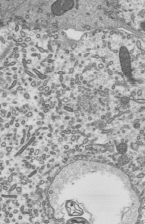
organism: Mouse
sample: Mouse epididymis efferent ductule cilia